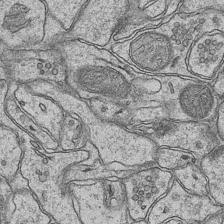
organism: Mouse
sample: CA1 Hippocampus